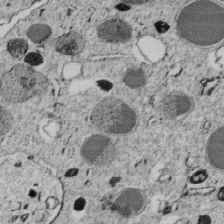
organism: C. elegans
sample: C. elegans embryo early stage